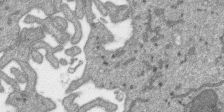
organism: Human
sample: Lung epithelial cells infected with SARS-CoV-2